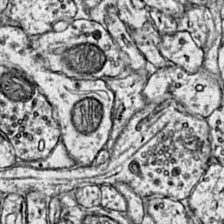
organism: Mouse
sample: Primary visual cortex